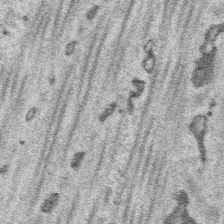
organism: Platynereis dumerilii